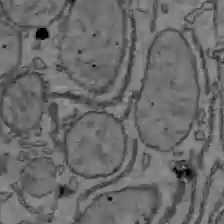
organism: C57BL Mouse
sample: Liver